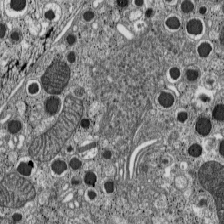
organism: C57BL Mouse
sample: Pancreatic islet